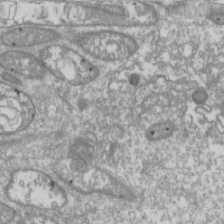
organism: Drosophila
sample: Cell division; meiosis; drosophila spermatocytes